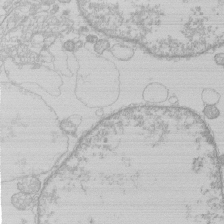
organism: Human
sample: Macrophage cells